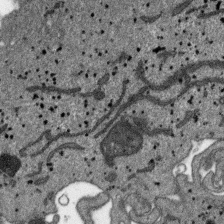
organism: Human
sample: Lung epithelial cells, uninfected (mock) control